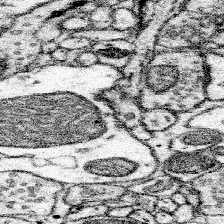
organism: Mouse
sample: Somatosensory cortex neuropil